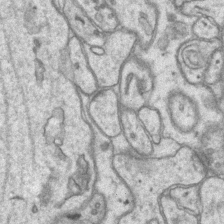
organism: Mouse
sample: CA1 Hippocampus